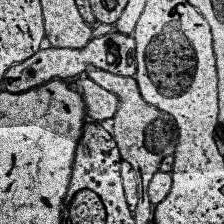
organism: Human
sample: Temporal Lobe